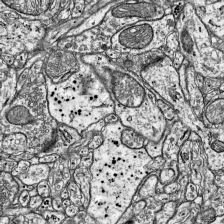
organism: Mouse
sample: Visual Cortex